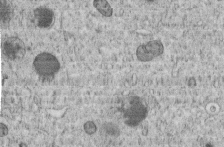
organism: C. elegans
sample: C. elegans embryo early stage